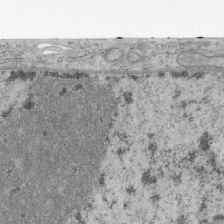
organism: Human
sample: HeLa cells